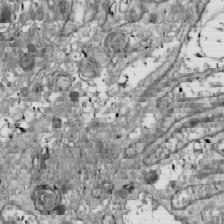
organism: Drosophila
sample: Cell division; meiosis; drosophila spermatocytes